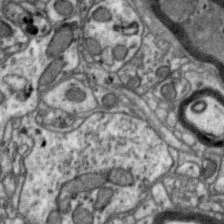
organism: Zebra finch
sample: Brain